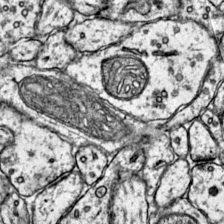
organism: Mouse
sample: Primary visual cortex